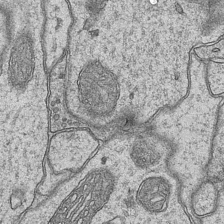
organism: Mouse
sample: CA1 Hippocampus